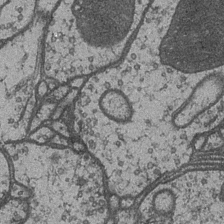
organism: Drosophila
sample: Optic medulla